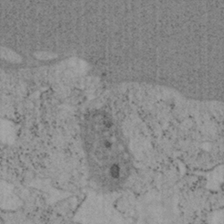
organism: Mouse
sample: OT-I killer T cells with ID8 ovarian cancer cells